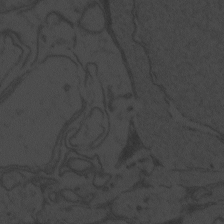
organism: Zebrafish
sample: Macrophage infected with Toxoplasma gondii